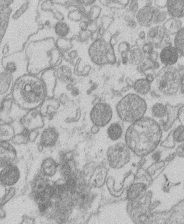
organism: Human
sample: Macrophage cells